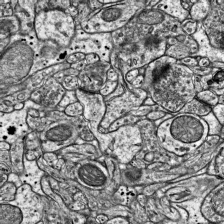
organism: Mouse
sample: Visual Cortex